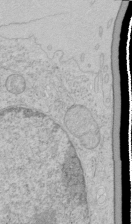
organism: Human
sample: Mitochondria in HCT116 cells